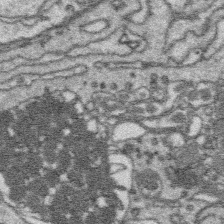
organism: Platynereis dumerilii